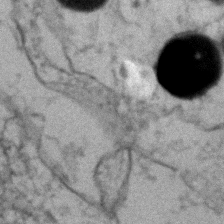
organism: Zebrafish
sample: Zebrafish embryo